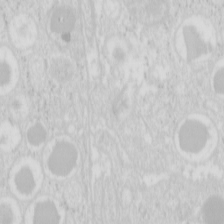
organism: Mouse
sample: Pancreas